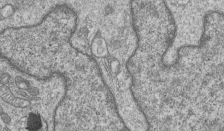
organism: Human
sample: MDA-MB-231 cells